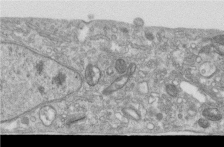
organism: Human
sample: Centriole in RPE cells